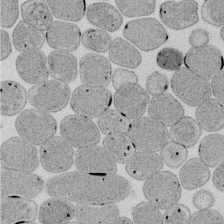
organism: E. coli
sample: Bacterial nucleoid